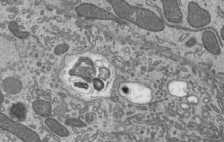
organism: Mouse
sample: Mouse epididymis efferent ductule cilia